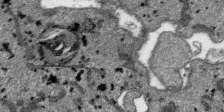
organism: Human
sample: Lung epithelial cells, uninfected (mock) control